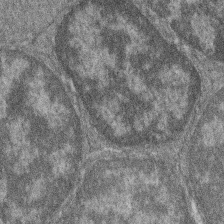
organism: Zebrafish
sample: Cilia; retinal pigment epithelium